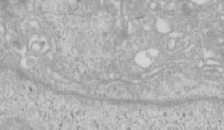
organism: Human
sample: Centriole in RPE cells